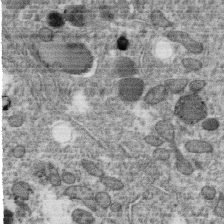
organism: C. elegans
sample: C. elegans oocyte; sperm cells